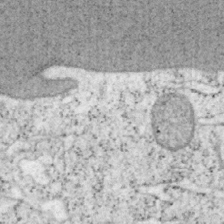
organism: Mouse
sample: OT-I killer T cells with ID8 ovarian cancer cells